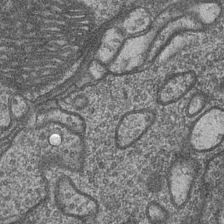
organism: Drosophila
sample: Optic medulla